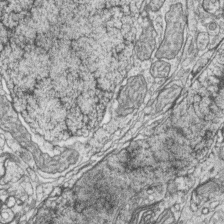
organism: Zebrafish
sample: synaptic ribbons in rod cells and cone cells